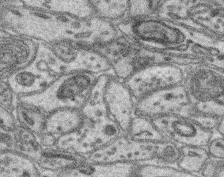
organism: Mouse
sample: Retina